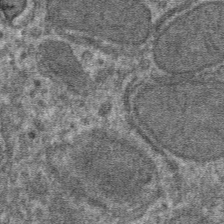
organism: Mouse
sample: Mouse hepatocytes